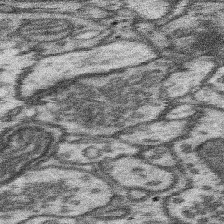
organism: Mouse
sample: Somatosensory cortex neuropil